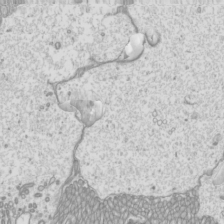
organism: Mouse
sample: Cilia; mouse epididymis